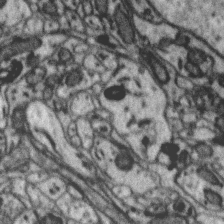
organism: Zebra finch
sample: Brain